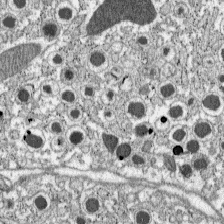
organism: C57BL Mouse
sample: Pancreatic islet